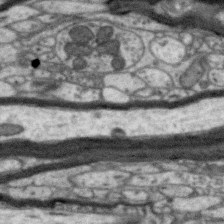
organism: Zebra finch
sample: Brain